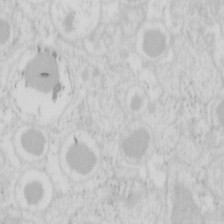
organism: Mouse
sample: Pancreas